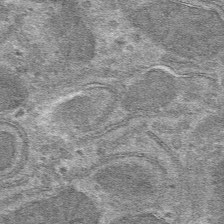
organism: Mouse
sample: Mouse hepatocytes